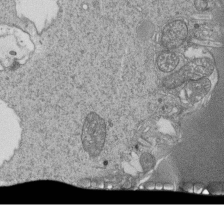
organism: Tetrahymena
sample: Cilia in tetrahymena